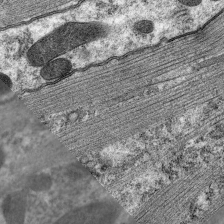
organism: C. elegans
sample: Pharynx